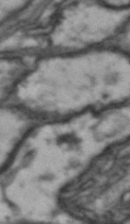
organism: Drosophila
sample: Brain